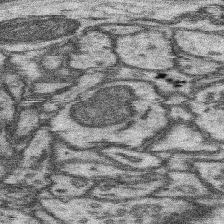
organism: Mouse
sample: Somatosensory cortex neuropil